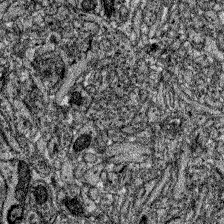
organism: Zebrafish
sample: Larval olfactory bulb